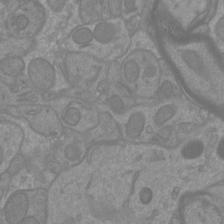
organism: Mouse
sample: Cortical neurons